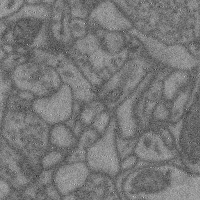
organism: Mouse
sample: Cerebral cortex